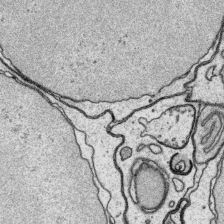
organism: Platynereis dumerilii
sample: Parapodia